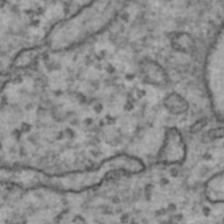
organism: Human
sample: Blood